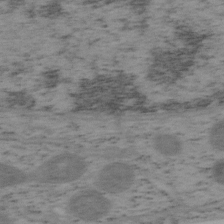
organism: Mouse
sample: OT-I killer T cells with ID8 ovarian cancer cells